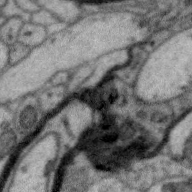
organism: Zebra finch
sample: Brain